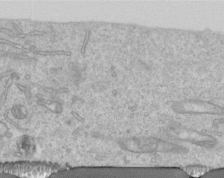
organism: Human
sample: Centriole in RPE cells